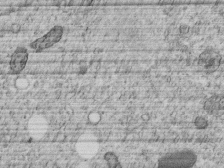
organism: C. elegans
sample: C. elegans embryo early stage